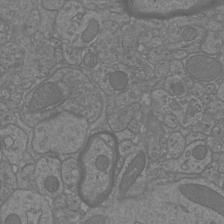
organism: Mouse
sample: Cortical neurons